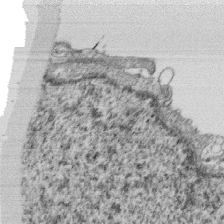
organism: African green monkey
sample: Vero E6 cells infected with SARS-CoV-2